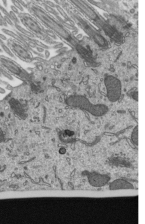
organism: Mouse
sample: Mouse epididymis efferent ductule cilia